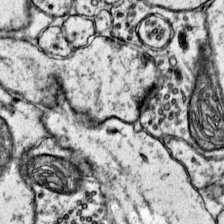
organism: Mouse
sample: Primary visual cortex